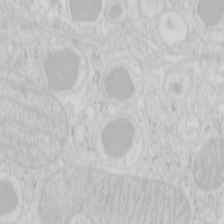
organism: Mouse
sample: Pancreas